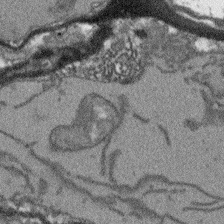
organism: Arabidopsis thaliana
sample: Root tip